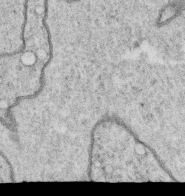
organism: C. elegans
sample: C. elegans oocyte; sperm cells